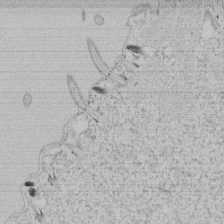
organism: Tetrahymena